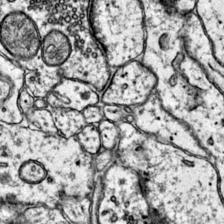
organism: Mouse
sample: Primary visual cortex